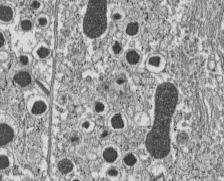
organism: C57BL Mouse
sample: Pancreatic islet